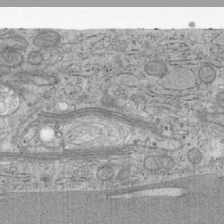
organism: Human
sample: HeLa cells